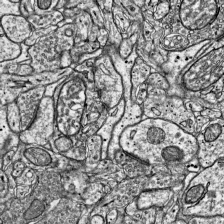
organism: Mouse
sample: Visual Cortex